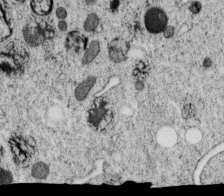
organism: C. elegans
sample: C. elegans oocyte; sperm cells